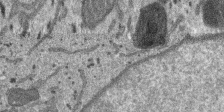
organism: Human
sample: Lung epithelial cells infected with SARS-CoV-2